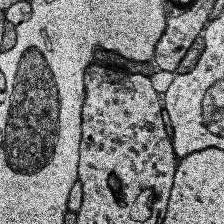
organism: Human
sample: Temporal Lobe